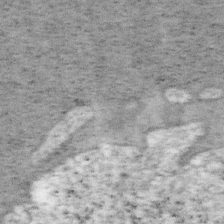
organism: Mouse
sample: OT-I killer T cells with ID8 ovarian cancer cells